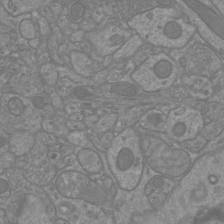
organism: Mouse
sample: Cortical neurons